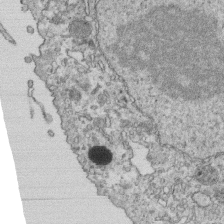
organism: Human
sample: HeLa cell HIV synapse